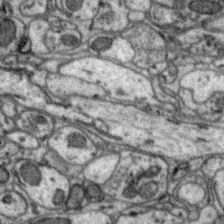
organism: Zebra finch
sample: Brain